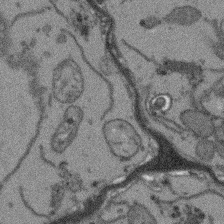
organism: Arabidopsis thaliana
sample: Root tip